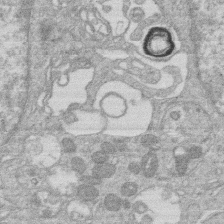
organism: Human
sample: Macrophage cells